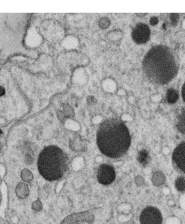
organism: C. elegans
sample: C. elegans oocyte; sperm cells